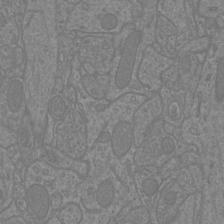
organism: Mouse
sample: Cortical neurons